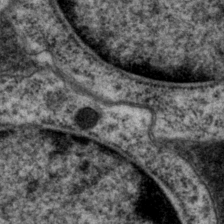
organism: P. pacificus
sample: Pharynx